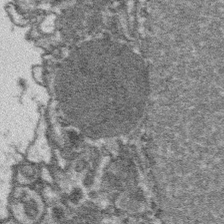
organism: Platynereis dumerilii